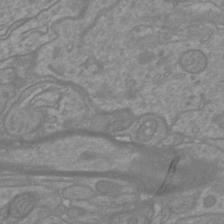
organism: Mouse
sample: Cortical neurons